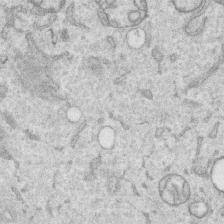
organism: Human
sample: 1205lu cells